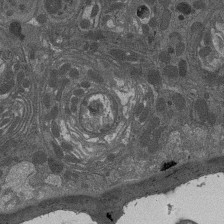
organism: Drosophila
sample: Antenna